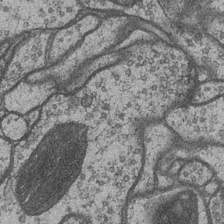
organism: Drosophila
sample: Optic medulla